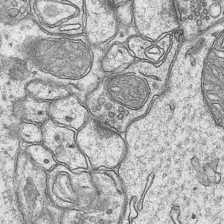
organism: Mouse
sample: CA1 Hippocampus